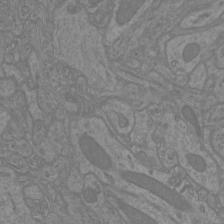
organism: Mouse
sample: Cortical neurons